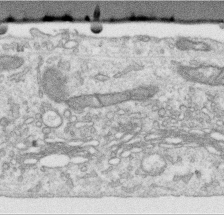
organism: Human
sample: Centriole in RPE cells